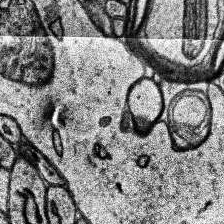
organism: Human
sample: Temporal Lobe